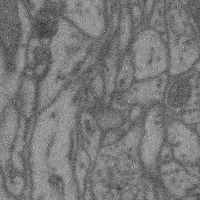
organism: Mouse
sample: Cerebral cortex